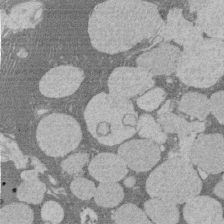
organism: Rat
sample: Salivary granule